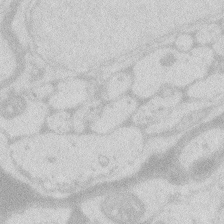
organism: Zebrafish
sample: Macrophage